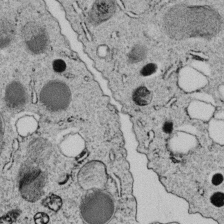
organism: C. elegans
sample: C. elegans embryo early stage